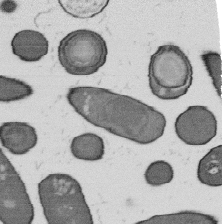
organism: B. subtilis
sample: Bacterial spore